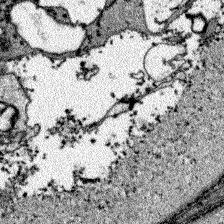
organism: Zebrafish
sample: Larval olfactory bulb